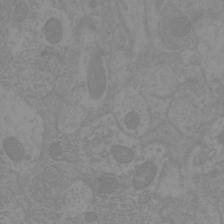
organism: Mouse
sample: Cortical neurons